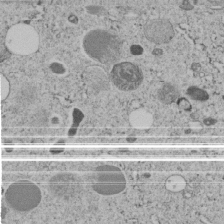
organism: C. elegans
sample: C. elegans embryo early stage